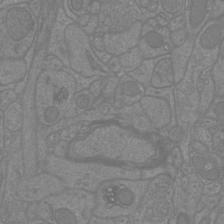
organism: Mouse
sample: Cortical neurons